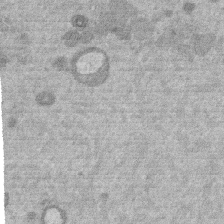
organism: Mouse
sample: Dividing mouse embryo 1 cell stage